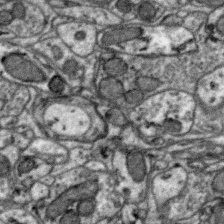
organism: Zebra finch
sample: Brain